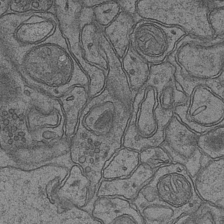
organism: Mouse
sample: CA1 Hippocampus